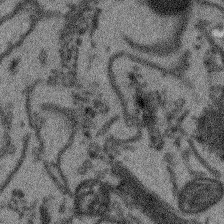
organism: Arabidopsis thaliana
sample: Root tip